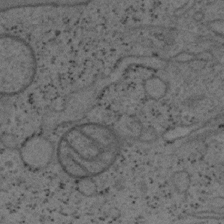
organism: Human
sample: HeLa cells